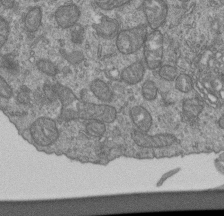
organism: Human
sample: Retinal organoid Rod and Cone cells